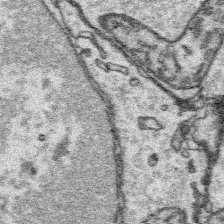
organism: Platynereis dumerilii